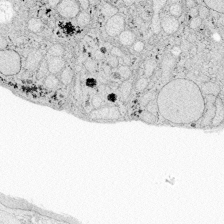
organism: Zebrafish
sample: Whole-Brain